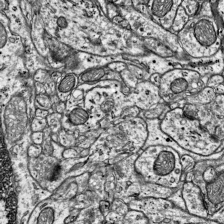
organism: Mouse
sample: Visual Cortex